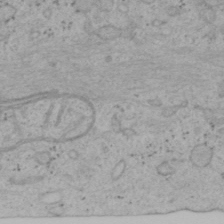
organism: Human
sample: HeLa cells